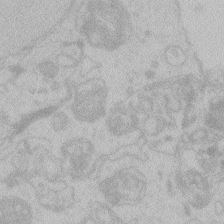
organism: Zebrafish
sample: Macrophage infected with Toxoplasma gondii